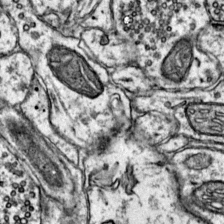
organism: Mouse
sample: Primary visual cortex